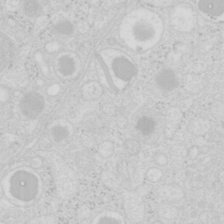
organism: Mouse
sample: Pancreas